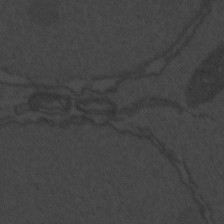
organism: Zebrafish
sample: Macrophage infected with Toxoplasma gondii